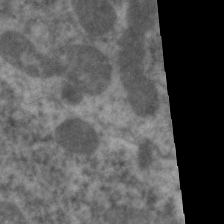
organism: C. elegans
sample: Pharynx